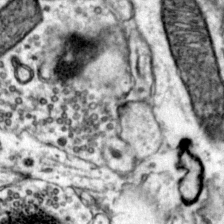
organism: Mouse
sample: Primary visual cortex